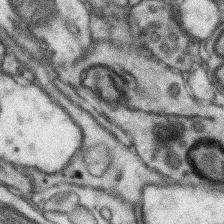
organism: Mouse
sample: Somatosensory cortex neuropil